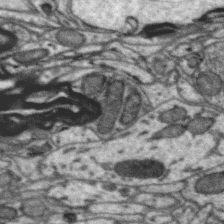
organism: Zebra finch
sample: Brain